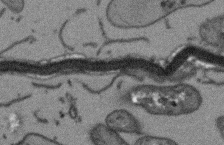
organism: Arabidopsis thaliana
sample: Root tip